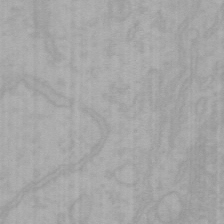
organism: Mouse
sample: Choroid plexus